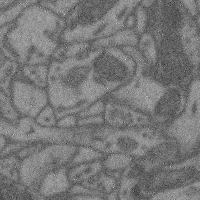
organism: Mouse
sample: Cerebral cortex